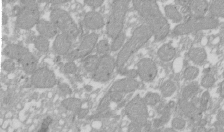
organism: Xenopus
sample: Cilia; centrioles in frog embryo cells